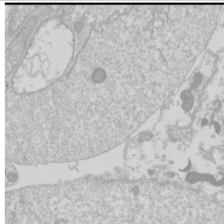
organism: Drosophila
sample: Cell division; meiosis; drosophila spermatocytes